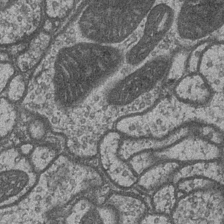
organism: Drosophila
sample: Optic medulla